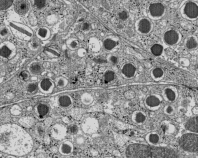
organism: C57BL Mouse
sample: Pancreatic islet